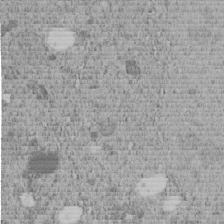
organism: C. elegans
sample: C. elegans embryo early stage